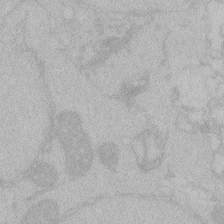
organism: Zebrafish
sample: Macrophage infected with Toxoplasma gondii